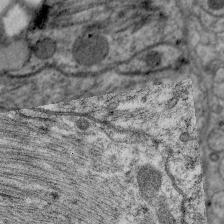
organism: C. elegans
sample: Pharynx